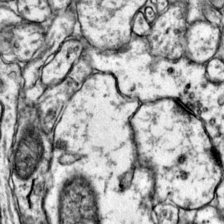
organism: Mouse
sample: Primary visual cortex